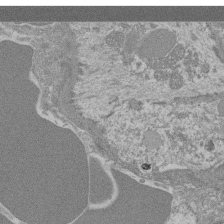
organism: Mouse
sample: Glomerulus